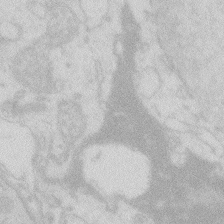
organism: Zebrafish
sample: Macrophage